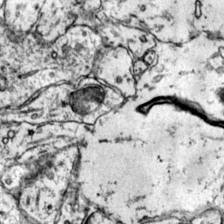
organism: Mouse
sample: Primary visual cortex